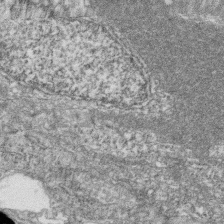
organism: Zebrafish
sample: Cilia; retinal pigment epithelium